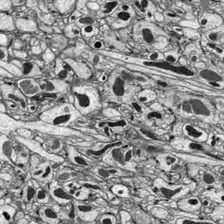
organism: Drosophila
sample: Optic lobe